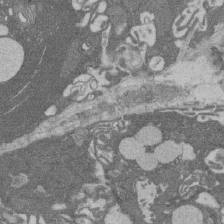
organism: Rat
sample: Salivary granule